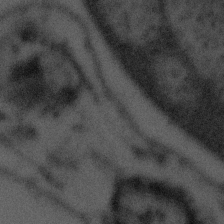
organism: Tuwongella immobilis